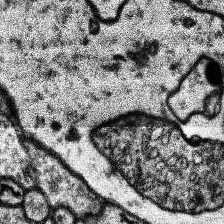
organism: Human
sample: Temporal Lobe